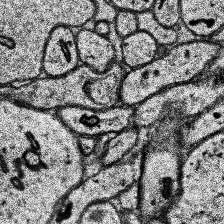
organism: Human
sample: Temporal Lobe